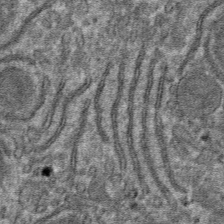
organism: Mouse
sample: Mouse hepatocytes